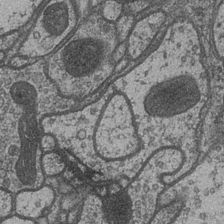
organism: Drosophila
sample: Optic medulla